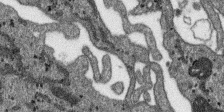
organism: Human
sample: Lung epithelial cells infected with SARS-CoV-2